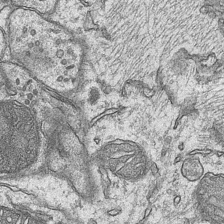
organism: Mouse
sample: CA1 Hippocampus